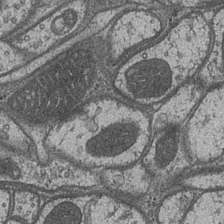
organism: Drosophila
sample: Optic medulla